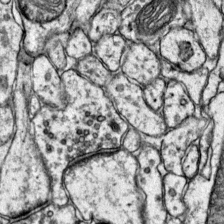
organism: Mouse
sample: Primary visual cortex